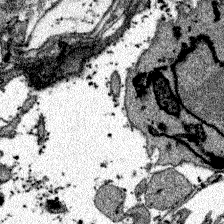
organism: Zebrafish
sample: Larval olfactory bulb